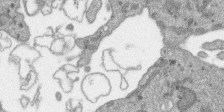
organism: Human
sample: Lung epithelial cells infected with SARS-CoV-2